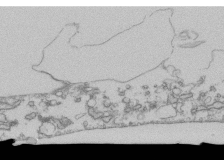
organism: Human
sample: Fibroblast cells